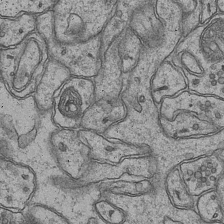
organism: Mouse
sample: CA1 Hippocampus